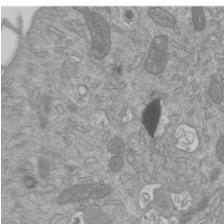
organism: Mouse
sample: ED-1 cell nuclei; centrioles